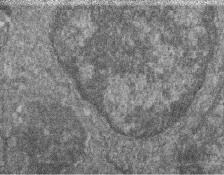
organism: Zebrafish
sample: Cilia; retinal pigment epithelium